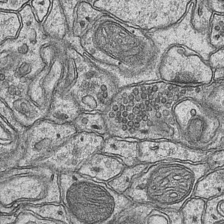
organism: Mouse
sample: CA1 Hippocampus